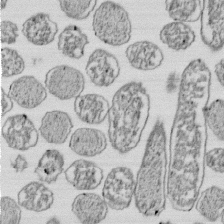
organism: E. coli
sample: Bacterial nucleoid